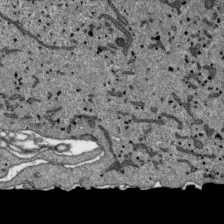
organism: Human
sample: Lung epithelial cells, uninfected (mock) control